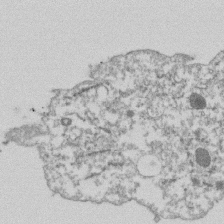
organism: Dictyostelium discoideum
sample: Dictyostelium multivesicular bodies